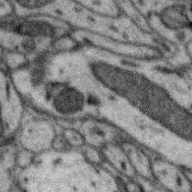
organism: Zebra finch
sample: Brain